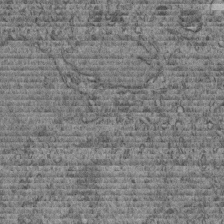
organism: C. elegans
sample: C. elegans embryo early stage